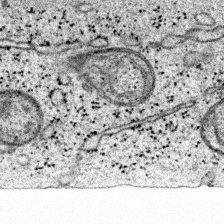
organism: Human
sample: HeLa cells